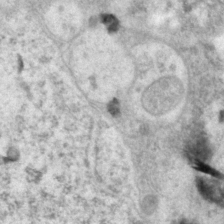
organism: P. pacificus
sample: Pharynx